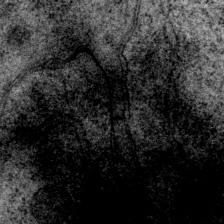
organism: P. pacificus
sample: Pharynx